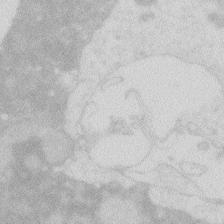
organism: Zebrafish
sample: Macrophage